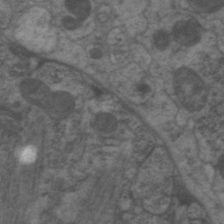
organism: C. elegans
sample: Pharynx